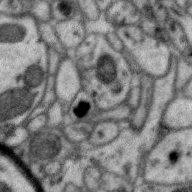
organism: Zebra finch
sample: Brain